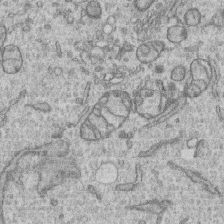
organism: Human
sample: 1205lu cells